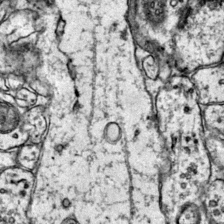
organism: Mouse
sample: Primary visual cortex